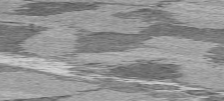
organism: C57BL Mouse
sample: Heart